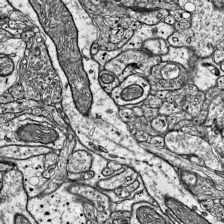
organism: Mouse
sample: Visual Cortex